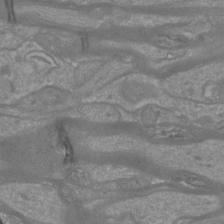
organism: Mouse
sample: Cortical neurons